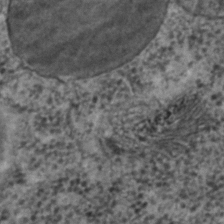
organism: C. elegans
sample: C. elegans embryo